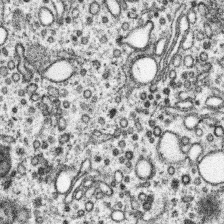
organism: Human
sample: HeLa cells